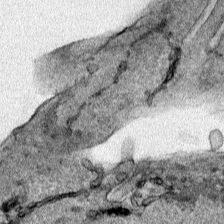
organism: Human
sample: Mitochondria in HCT116 cells